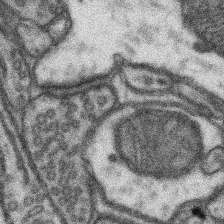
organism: Mouse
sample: Somatosensory cortex neuropil